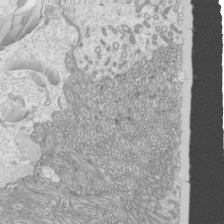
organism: Mouse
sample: Cilia; mouse epididymis